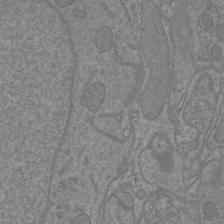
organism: Mouse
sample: Cortical neurons